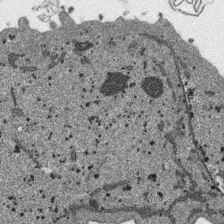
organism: Human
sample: Lung epithelial cells infected with SARS-CoV-2